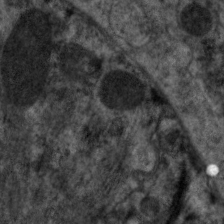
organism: C. elegans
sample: Pharynx